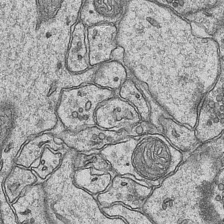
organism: Mouse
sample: CA1 Hippocampus